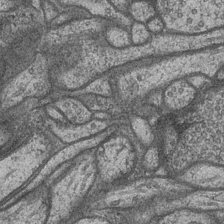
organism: Drosophila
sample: Optic medulla